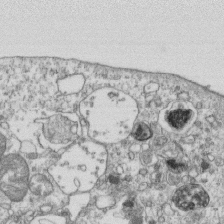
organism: Mouse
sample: Activated OT-1 CD8+ T cells